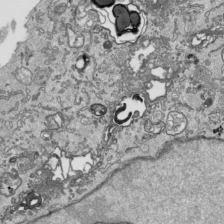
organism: Human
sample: Mitochondria in HCT116 cells